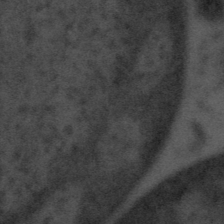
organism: Tuwongella immobilis